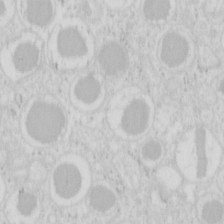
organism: Mouse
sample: Pancreas